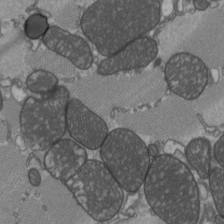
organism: C57BL Mouse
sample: Heart